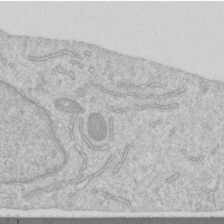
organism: Human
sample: Centriole in RPE cells